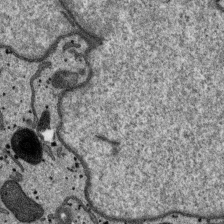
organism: Human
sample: Lung epithelial cells, uninfected (mock) control